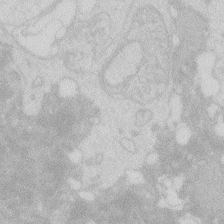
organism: Zebrafish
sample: Macrophage